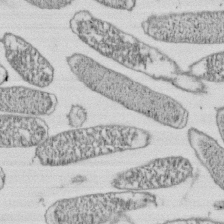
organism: E. coli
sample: Bacterial nucleoid